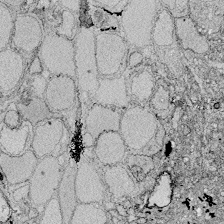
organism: Zebrafish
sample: Whole-Brain